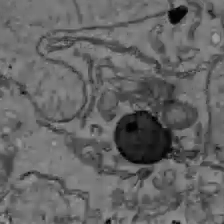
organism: C57BL Mouse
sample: Liver